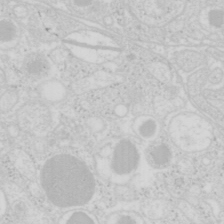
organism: Mouse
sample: Pancreas